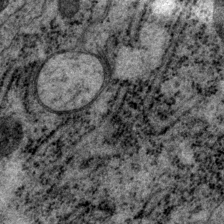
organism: P. pacificus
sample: Pharynx